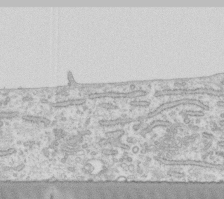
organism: Human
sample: Fibroblast cells